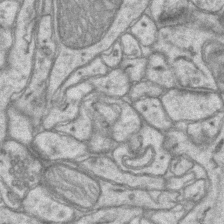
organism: Mouse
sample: CA1 Hippocampus